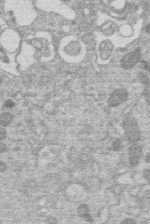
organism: Human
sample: Macrophage cells